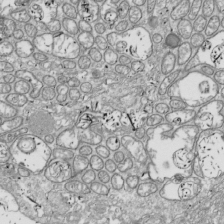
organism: Drosophila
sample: Cell division; meiosis; drosophila spermatocytes